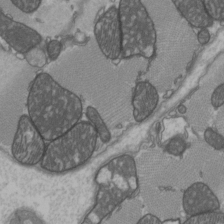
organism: C57BL Mouse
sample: Heart